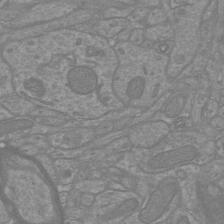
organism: Mouse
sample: Cortical neurons